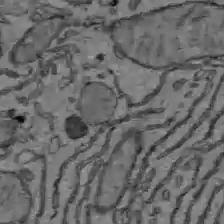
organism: C57BL Mouse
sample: Liver